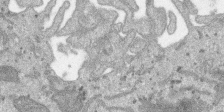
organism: Human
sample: Lung epithelial cells infected with SARS-CoV-2